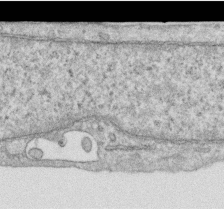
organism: Human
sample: Centriole in RPE cells